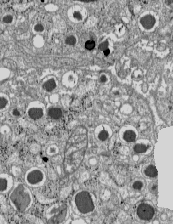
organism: C57BL Mouse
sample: Pancreatic islet